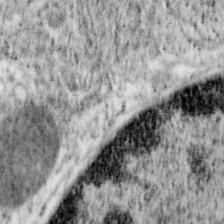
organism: Mouse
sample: OT-I killer T cells with ID8 ovarian cancer cells